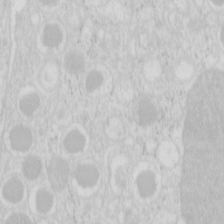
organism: Mouse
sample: Pancreas